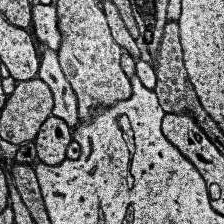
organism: Human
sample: Temporal Lobe